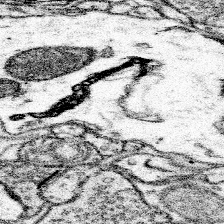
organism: Mouse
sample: Somatosensory cortex neuropil